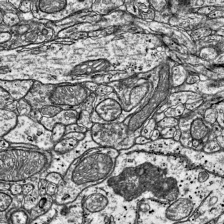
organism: Mouse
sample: Visual Cortex